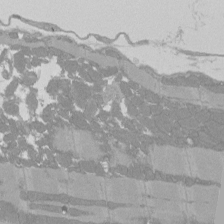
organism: Rat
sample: Left ventricle